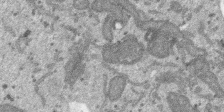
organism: Human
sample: Lung epithelial cells infected with SARS-CoV-2